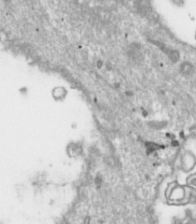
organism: Toxoplasma gondii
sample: Parasites in a vacuole inside a host cell